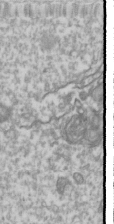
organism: Drosophila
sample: Cell division; meiosis; drosophila spermatocytes